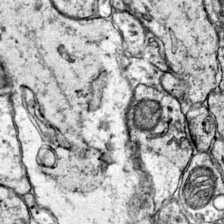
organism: Mouse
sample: Primary visual cortex